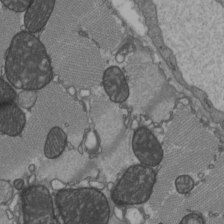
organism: C57BL Mouse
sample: Heart